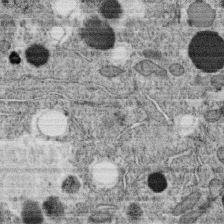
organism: C. elegans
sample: C. elegans oocyte; sperm cells